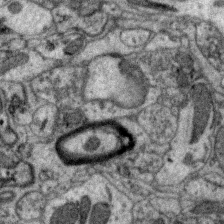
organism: Zebra finch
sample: Brain